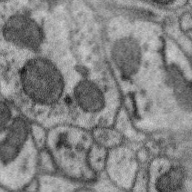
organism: Zebra finch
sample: Brain